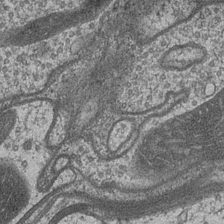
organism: Drosophila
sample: Optic medulla